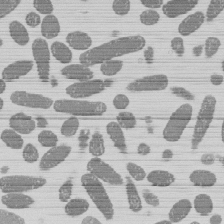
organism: E. coli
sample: Bacterial nucleoid